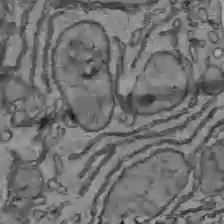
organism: C57BL Mouse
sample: Liver